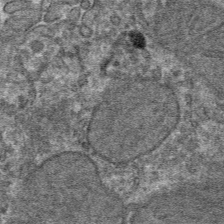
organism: Mouse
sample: Mouse hepatocytes